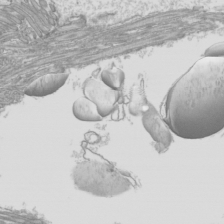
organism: Mouse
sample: Cilia; mouse epididymis